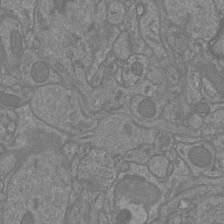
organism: Mouse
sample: Cortical neurons